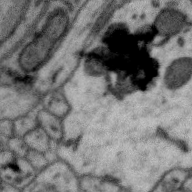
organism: Zebra finch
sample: Brain